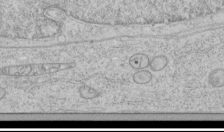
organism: Human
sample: Mitochondria in HCT116 cells